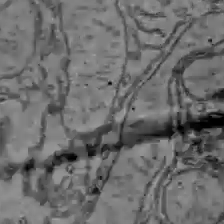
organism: C57BL Mouse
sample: Liver